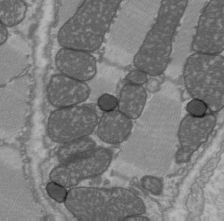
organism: C57BL Mouse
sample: Heart